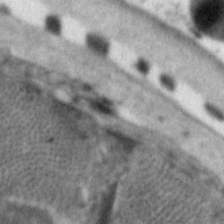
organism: C. elegans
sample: Pharynx